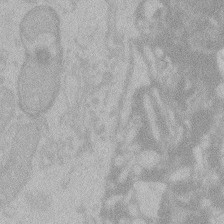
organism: Zebrafish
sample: Macrophage infected with Toxoplasma gondii